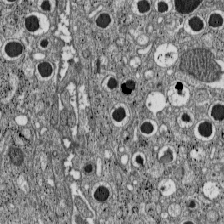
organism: C57BL Mouse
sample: Pancreatic islet